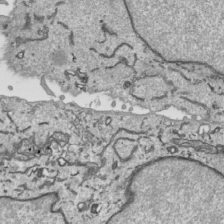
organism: Human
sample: Mitochondria in HCT116 cells